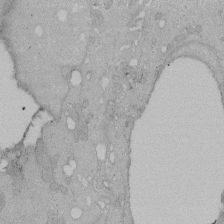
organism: Human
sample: Melanocyte Keratinocyte synapse skin construct